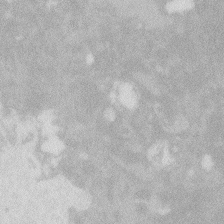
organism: Zebrafish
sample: Macrophage